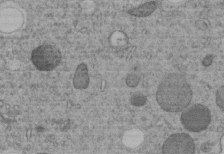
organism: C. elegans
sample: C. elegans embryo early stage